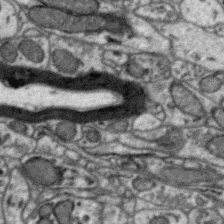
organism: Zebra finch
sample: Brain